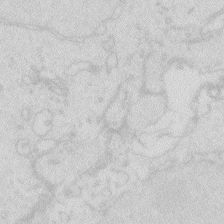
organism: Zebrafish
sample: Macrophage